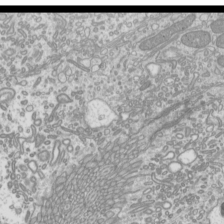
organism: Mouse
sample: Cilia; mouse epididymis